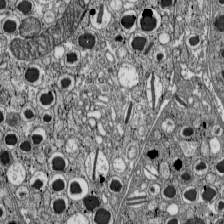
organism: C57BL Mouse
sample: Pancreatic islet